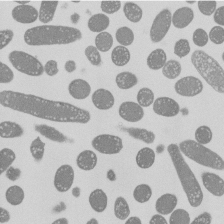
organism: E. coli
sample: Bacterial nucleoid